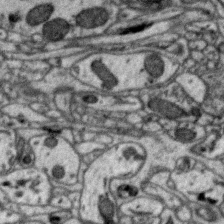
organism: Zebra finch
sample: Brain